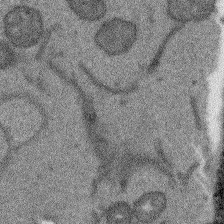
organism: Arabidopsis thaliana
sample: Root tip